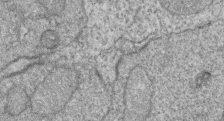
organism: Zebrafish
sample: Cilia; retinal pigment epithelium